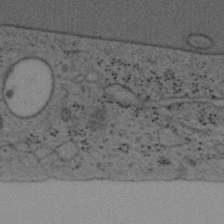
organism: Human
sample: HeLa cells